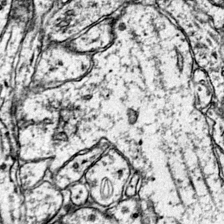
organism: Mouse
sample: Primary visual cortex